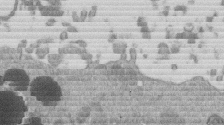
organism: Mouse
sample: Dividing mouse embryo 1 cell stage